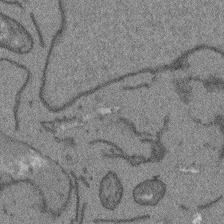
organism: Arabidopsis thaliana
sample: Root tip